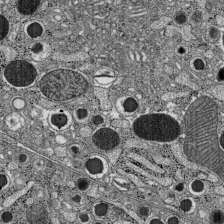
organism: C57BL Mouse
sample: Pancreatic islet